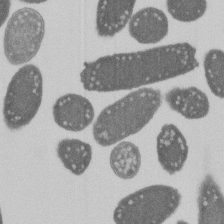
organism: E. coli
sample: Bacterial nucleoid